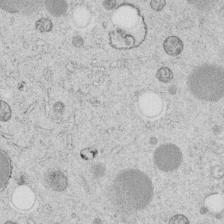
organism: C. elegans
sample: C. elegans embryo early stage